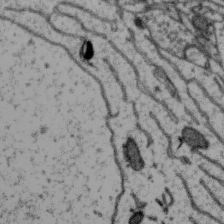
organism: Zebra finch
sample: Brain